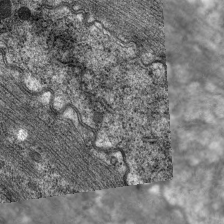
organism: C. elegans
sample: Pharynx